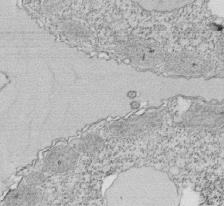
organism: Tetrahymena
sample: Cilia in tetrahymena